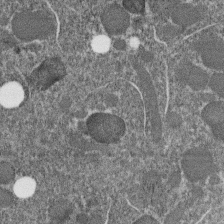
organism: C. elegans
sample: C. elegans embryo early stage